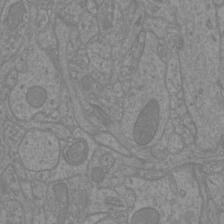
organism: Mouse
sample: Cortical neurons